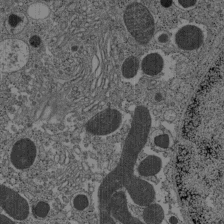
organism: C57BL Mouse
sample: Pancreatic islet